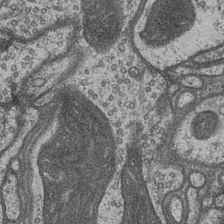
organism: Drosophila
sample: Optic medulla